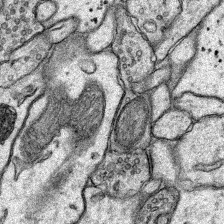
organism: Rat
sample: Hippocampus